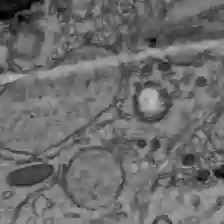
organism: C57BL Mouse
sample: Liver